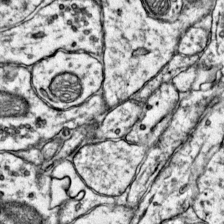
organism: Mouse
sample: Primary visual cortex